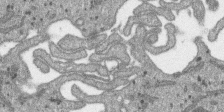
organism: Human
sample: Lung epithelial cells infected with SARS-CoV-2